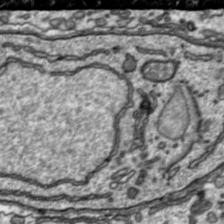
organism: Toxoplasma gondii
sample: Parasites in a vacuole inside a host cell